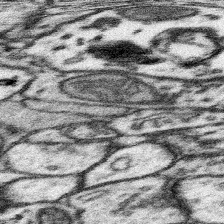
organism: Mouse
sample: Somatosensory cortex neuropil